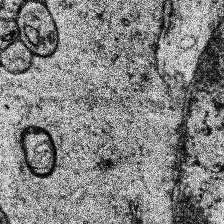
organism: Human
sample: Temporal Lobe